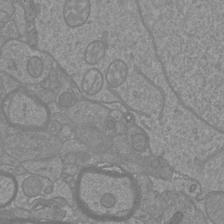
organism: Mouse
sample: Cortical neurons